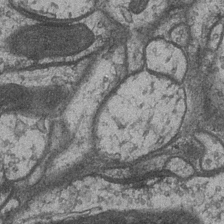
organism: Drosophila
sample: Optic medulla